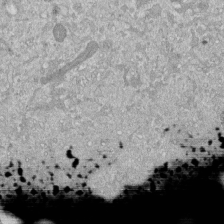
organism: Mouse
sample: ED-1 cell nuclei; centrioles